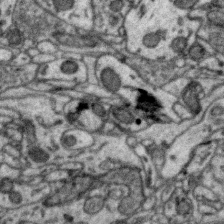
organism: Zebra finch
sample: Brain